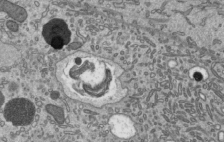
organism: Mouse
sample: Mouse epididymis efferent ductule cilia